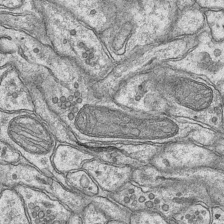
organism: Mouse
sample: CA1 Hippocampus